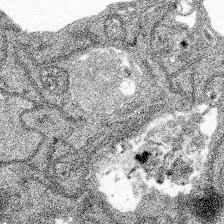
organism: Spongilla lacustris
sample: Multiple